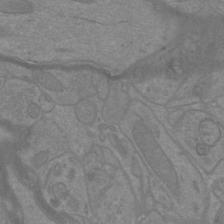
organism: Mouse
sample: Cortical neurons